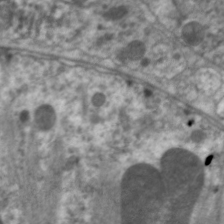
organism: C. elegans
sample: Pharynx